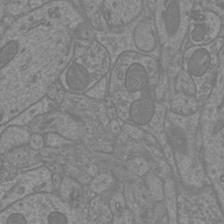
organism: Mouse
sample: Cortical neurons